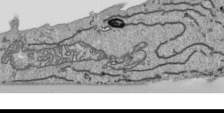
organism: Human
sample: Mitochondria in HCT116 cells